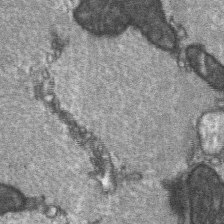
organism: C57BL Mouse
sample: Soleus